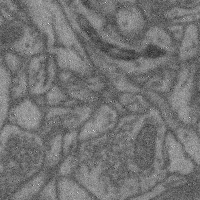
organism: Mouse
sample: Cerebral cortex